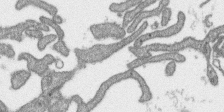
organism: Human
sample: Lung epithelial cells infected with SARS-CoV-2